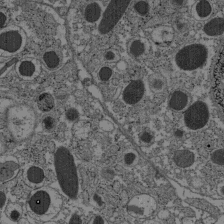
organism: C57BL Mouse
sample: Pancreatic islet